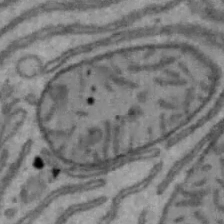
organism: Mouse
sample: Liver